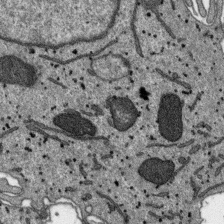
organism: Human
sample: Lung epithelial cells, uninfected (mock) control